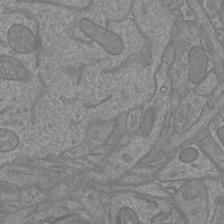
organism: Mouse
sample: Cortical neurons